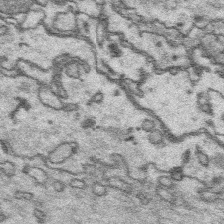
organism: Platynereis dumerilii